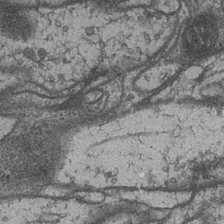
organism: Drosophila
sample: Optic medulla